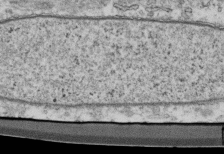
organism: Mouse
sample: Cilia; retinal pigment epithelium